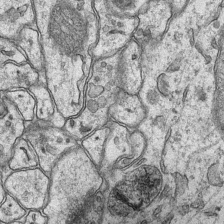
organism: Mouse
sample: CA1 Hippocampus